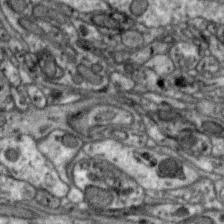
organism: Zebra finch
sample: Brain